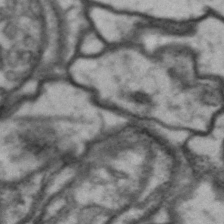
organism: Drosophila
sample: Brain